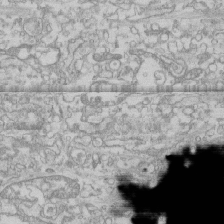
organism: Human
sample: CRL-1474